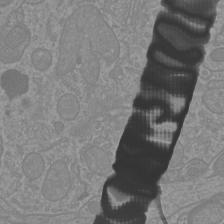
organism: Mouse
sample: Cortical neurons